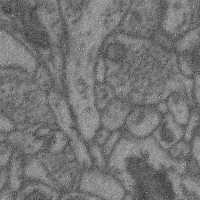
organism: Mouse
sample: Cerebral cortex